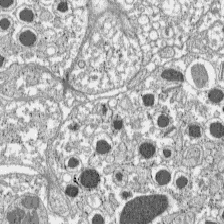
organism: C57BL Mouse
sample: Pancreatic islet